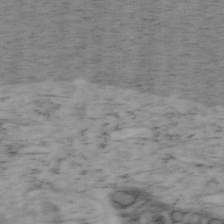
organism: Mouse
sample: OT-I killer T cells with ID8 ovarian cancer cells